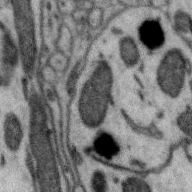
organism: Zebra finch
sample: Brain